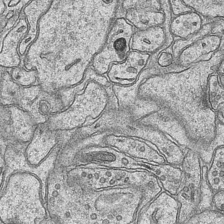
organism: Mouse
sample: CA1 Hippocampus